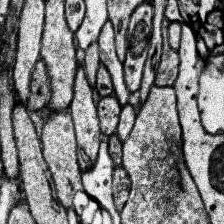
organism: Human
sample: Temporal Lobe